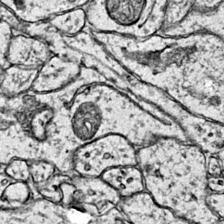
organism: Mouse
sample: Primary visual cortex